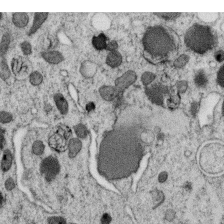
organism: C. elegans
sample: C. elegans oocyte; sperm cells